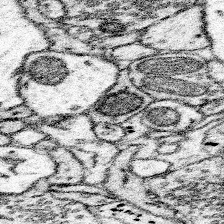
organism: Mouse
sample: Somatosensory cortex neuropil